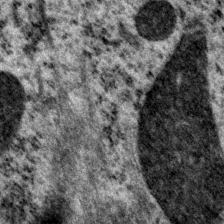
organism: P. pacificus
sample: Pharynx